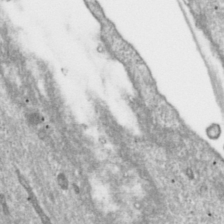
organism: Toxoplasma gondii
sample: Parasites in a vacuole inside a host cell